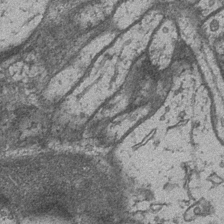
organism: Drosophila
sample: Optic medulla